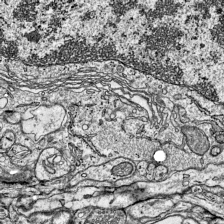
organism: Mouse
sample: Visual Cortex